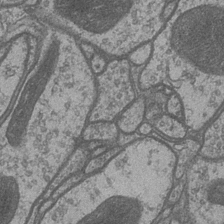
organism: Drosophila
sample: Optic medulla